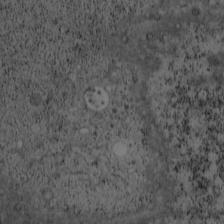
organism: African green monkey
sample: COS-7 cells